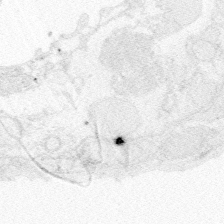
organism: Zebrafish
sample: Whole-Brain